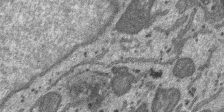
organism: Human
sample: Lung epithelial cells infected with SARS-CoV-2